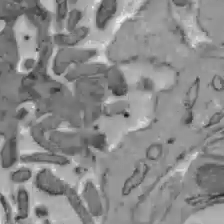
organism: C57BL Mouse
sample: Liver